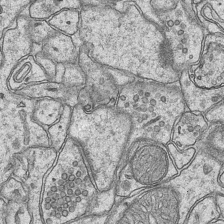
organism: Mouse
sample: CA1 Hippocampus